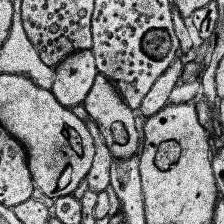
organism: Human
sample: Temporal Lobe